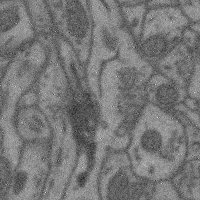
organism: Mouse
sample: Cerebral cortex